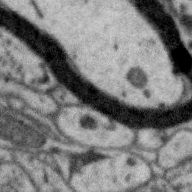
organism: Zebra finch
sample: Brain